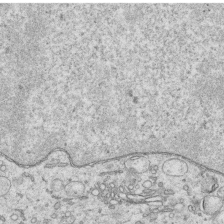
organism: Human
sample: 1205lu cells